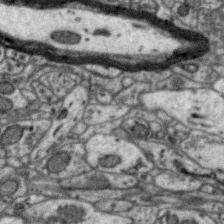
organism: Zebra finch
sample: Brain